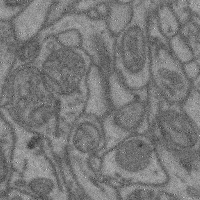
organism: Mouse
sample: Cerebral cortex